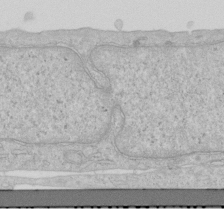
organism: Human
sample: Centriole in RPE cells